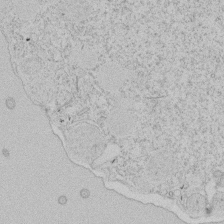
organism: Tetrahymena